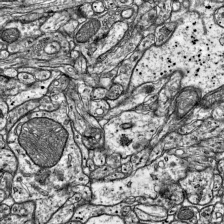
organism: Mouse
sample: Visual Cortex